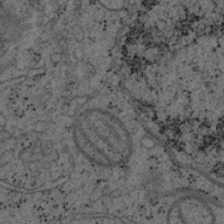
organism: Human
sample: HeLa cells